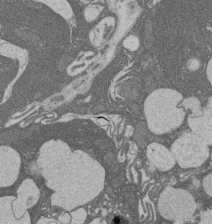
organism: Rat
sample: Salivary granule